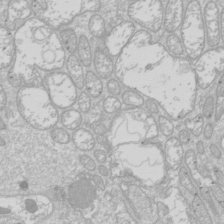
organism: Drosophila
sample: Cell division; meiosis; drosophila spermatocytes